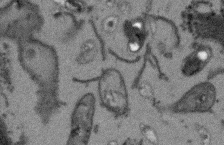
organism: Arabidopsis thaliana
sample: Root tip